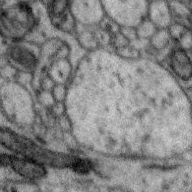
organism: Zebra finch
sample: Brain